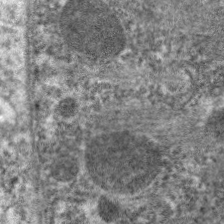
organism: C. elegans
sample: Pharynx